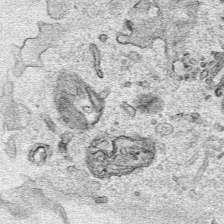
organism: Human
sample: Mitochondria in HCT116 cells